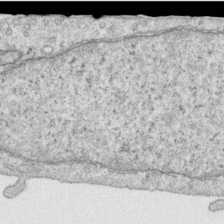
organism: Human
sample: Centriole in RPE cells